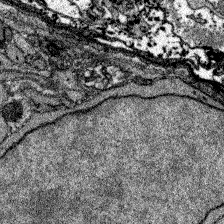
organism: Zebrafish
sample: Larval olfactory bulb